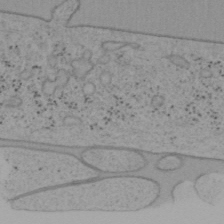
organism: Human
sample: HeLa cells